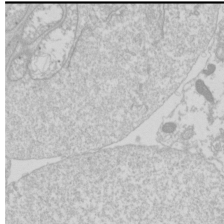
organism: Drosophila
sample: Cell division; meiosis; drosophila spermatocytes